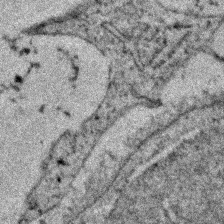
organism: Zebrafish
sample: Zebrafish embryo